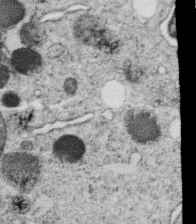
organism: C. elegans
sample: C. elegans oocyte; sperm cells